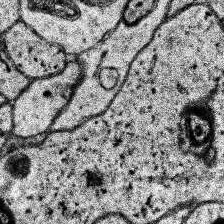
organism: Human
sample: Temporal Lobe